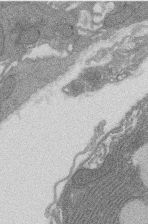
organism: Rat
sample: Salivary granule